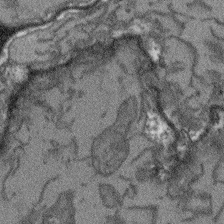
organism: Arabidopsis thaliana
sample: Root tip